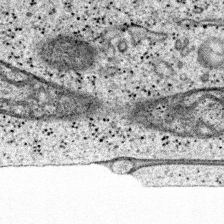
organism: Human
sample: HeLa cells